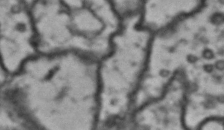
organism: Drosophila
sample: Brain